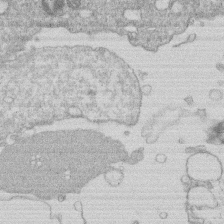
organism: Human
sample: Macrophage cells